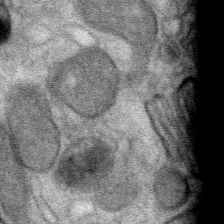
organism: Mouse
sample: Mouse Salivary gland